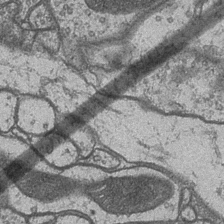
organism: Drosophila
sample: Optic medulla